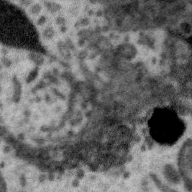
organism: Zebra finch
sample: Brain